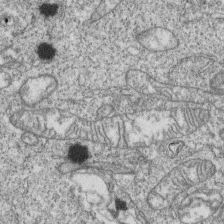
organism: Human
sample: HeLa cell HIV synapse